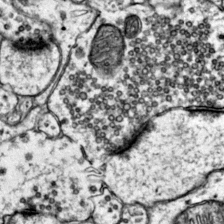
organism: Mouse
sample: Primary visual cortex